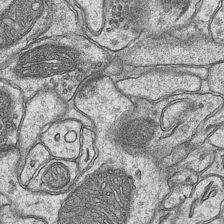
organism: Mouse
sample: CA1 Hippocampus